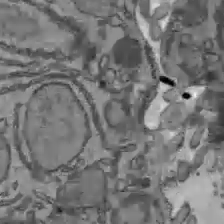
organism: C57BL Mouse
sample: Liver